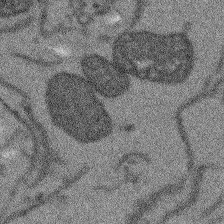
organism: Arabidopsis thaliana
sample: Root tip